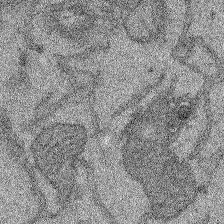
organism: Human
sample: HeLa cells